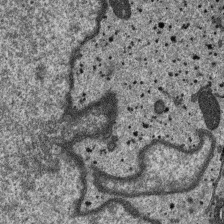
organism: Human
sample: Lung epithelial cells infected with SARS-CoV-2